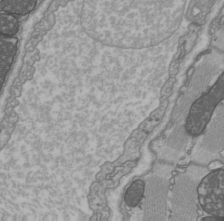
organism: C57BL Mouse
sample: Heart